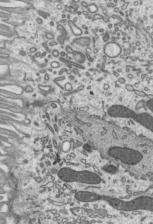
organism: Mouse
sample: Mouse epididymis efferent ductule cilia